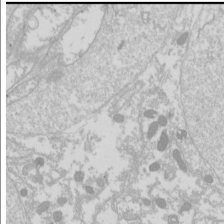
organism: Drosophila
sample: Cell division; meiosis; drosophila spermatocytes